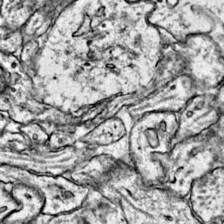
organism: Mouse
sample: Primary visual cortex